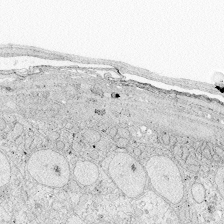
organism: Zebrafish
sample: Whole-Brain